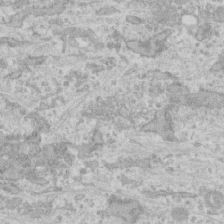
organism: Human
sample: CRL-1474